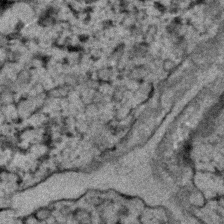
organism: C. elegans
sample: C. elegans embryo